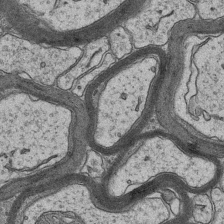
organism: Mouse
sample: CA1 Hippocampus